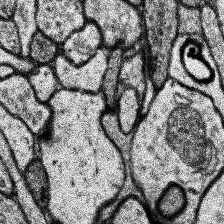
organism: Human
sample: Temporal Lobe